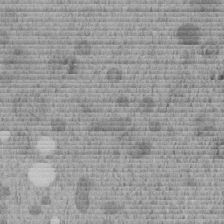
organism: C. elegans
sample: C. elegans embryo early stage